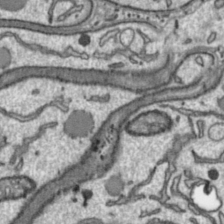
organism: Toxoplasma gondii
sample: Parasites in a vacuole inside a host cell